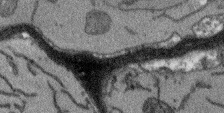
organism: Arabidopsis thaliana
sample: Root tip